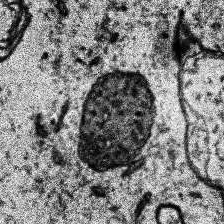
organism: Human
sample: Temporal Lobe